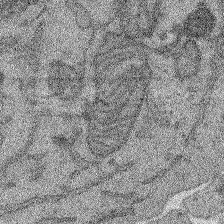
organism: Human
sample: HeLa cells